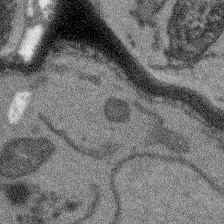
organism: Arabidopsis thaliana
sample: Root tip